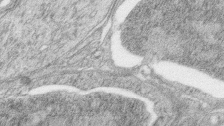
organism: Zebrafish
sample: synaptic ribbons in rod cells and cone cells